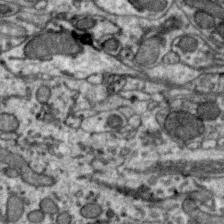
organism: Zebra finch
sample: Brain